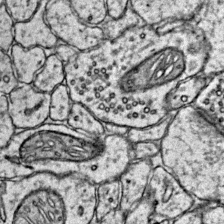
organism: Mouse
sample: Primary visual cortex